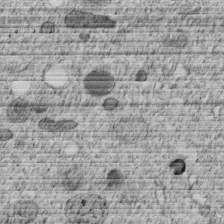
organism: C. elegans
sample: C. elegans embryo early stage